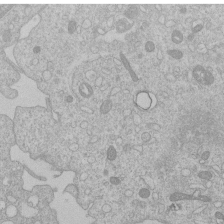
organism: Human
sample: Macrophage cells